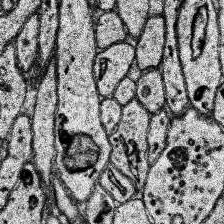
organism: Human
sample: Temporal Lobe